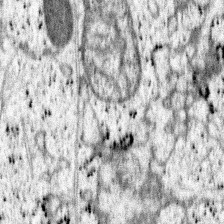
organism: Human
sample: HeLa cells